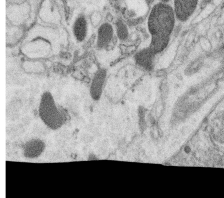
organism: C. elegans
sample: C. elegans oocyte; sperm cells